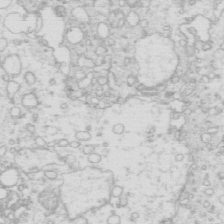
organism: Mouse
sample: Multiciliated cells